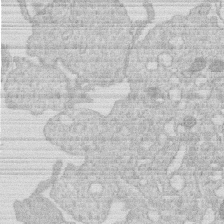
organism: Human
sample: Macrophage cells